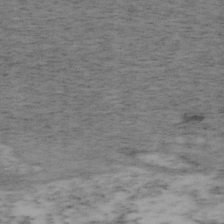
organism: Mouse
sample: OT-I killer T cells with ID8 ovarian cancer cells